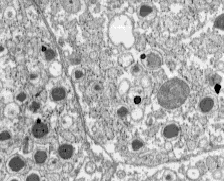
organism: C57BL Mouse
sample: Pancreatic islet